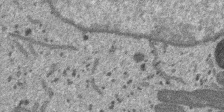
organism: Human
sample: Lung epithelial cells infected with SARS-CoV-2